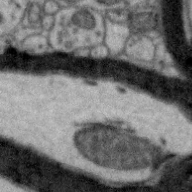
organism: Zebra finch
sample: Brain